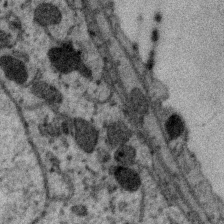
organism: Zebra finch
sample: Brain